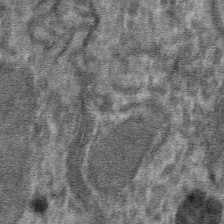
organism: Mouse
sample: Mouse hepatocytes